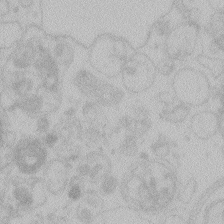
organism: Zebrafish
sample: Macrophage infected with Toxoplasma gondii